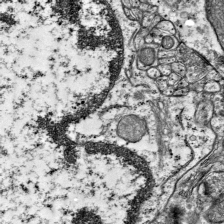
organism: Mouse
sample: Visual Cortex